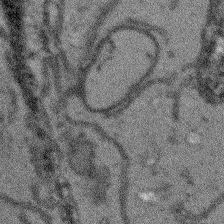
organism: Arabidopsis thaliana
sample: Root tip